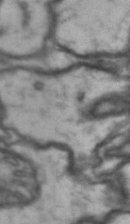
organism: Drosophila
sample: Brain